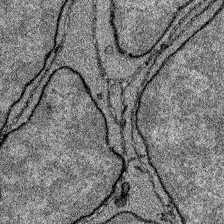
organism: Zebrafish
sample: Larval olfactory bulb